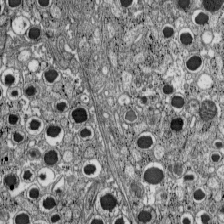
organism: C57BL Mouse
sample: Pancreatic islet